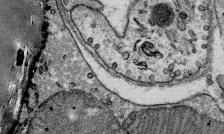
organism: Mouse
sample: Mouse Salivary gland